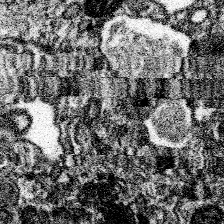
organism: Spongilla lacustris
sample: Neuroid cell